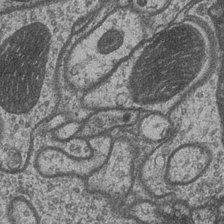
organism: Drosophila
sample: Optic medulla